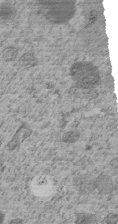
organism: C. elegans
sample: C. elegans embryo early stage